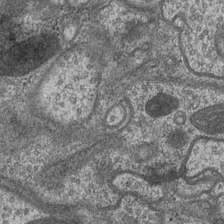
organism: Drosophila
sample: Optic medulla